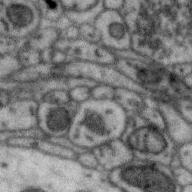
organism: Zebra finch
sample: Brain